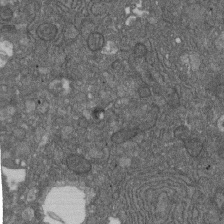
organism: Drosophila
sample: Nephrocyte